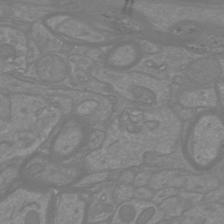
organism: Mouse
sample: Cortical neurons